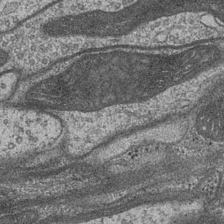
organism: Drosophila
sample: Optic medulla